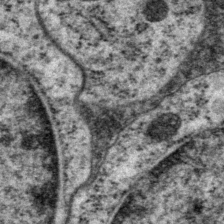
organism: P. pacificus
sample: Pharynx